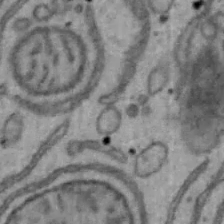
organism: Mouse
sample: Liver